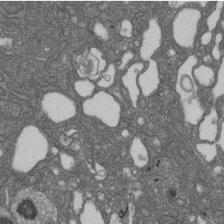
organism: Drosophila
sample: Nephrocyte